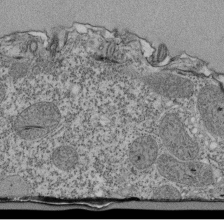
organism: Tetrahymena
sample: Cilia in tetrahymena